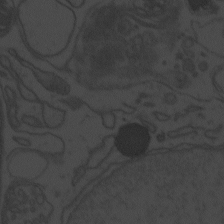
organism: Zebrafish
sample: Macrophage infected with Toxoplasma gondii